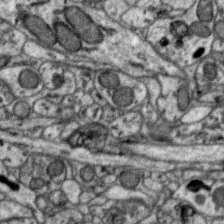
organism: Zebra finch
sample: Brain